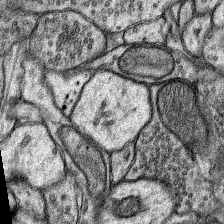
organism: Rat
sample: Hippocampus